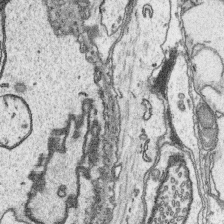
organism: Platynereis dumerilii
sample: Parapodia